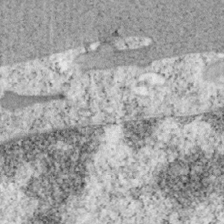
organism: Mouse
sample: OT-I killer T cells with ID8 ovarian cancer cells